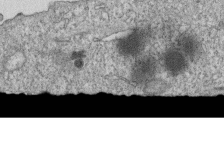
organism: Human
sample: HeLa cell HIV synapse